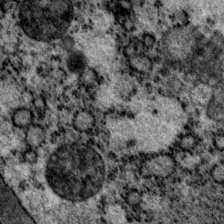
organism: P. pacificus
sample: Pharynx